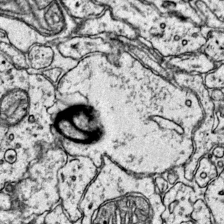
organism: Mouse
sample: Primary visual cortex